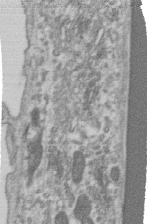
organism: Human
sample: Centriole in RPE cells